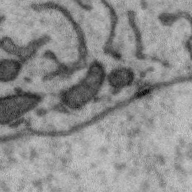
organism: Zebra finch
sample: Brain